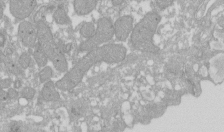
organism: Xenopus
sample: Cilia; centrioles in frog embryo cells